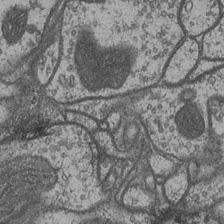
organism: Drosophila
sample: Optic medulla